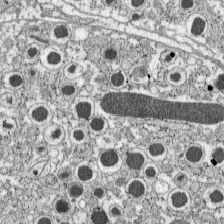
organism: C57BL Mouse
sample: Pancreatic islet